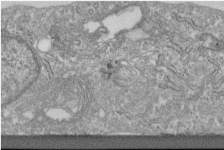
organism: Human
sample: Centriole in fibroblast cells